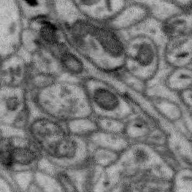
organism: Zebra finch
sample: Brain